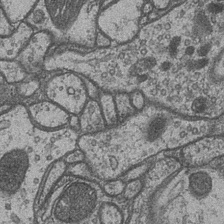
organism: Drosophila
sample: Optic medulla